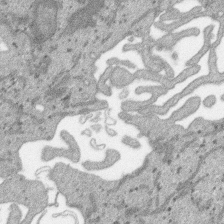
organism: Human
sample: Lung epithelial cells infected with SARS-CoV-2